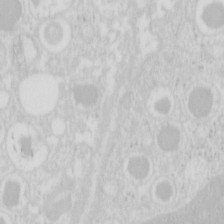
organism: Mouse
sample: Pancreas